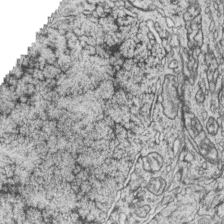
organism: Zebrafish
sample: synaptic ribbons in rod cells and cone cells